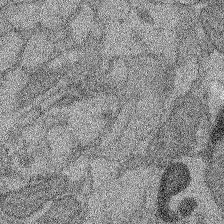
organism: Human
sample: HeLa cells